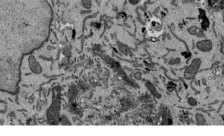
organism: Mouse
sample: ED-1 cell nuclei; centrioles